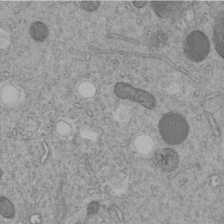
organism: C. elegans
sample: C. elegans embryo early stage